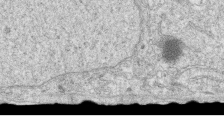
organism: Human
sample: HeLa cell HIV synapse